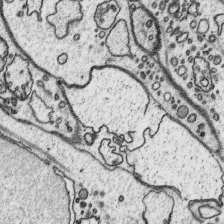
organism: Platynereis dumerilii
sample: Parapodia